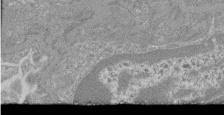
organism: Mouse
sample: Glomerulus